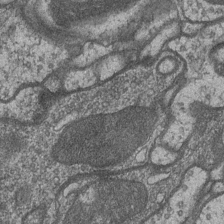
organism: Drosophila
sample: Optic medulla